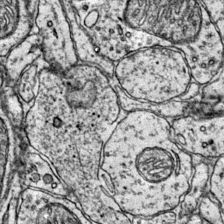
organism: Mouse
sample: Primary visual cortex